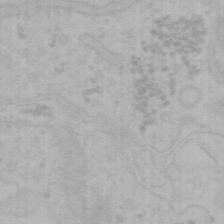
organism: Mouse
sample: Choroid plexus